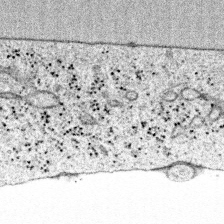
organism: Human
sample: HeLa cells